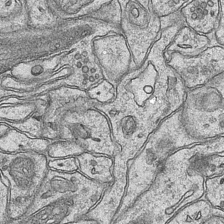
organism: Mouse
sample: CA1 Hippocampus